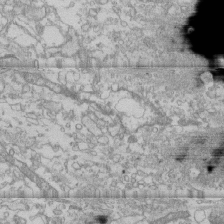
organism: Human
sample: CRL-1474